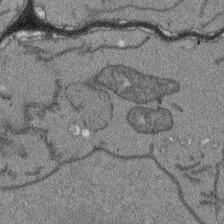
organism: Arabidopsis thaliana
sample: Root tip